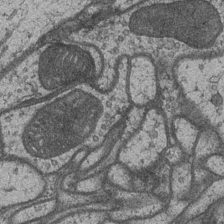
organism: Drosophila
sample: Optic medulla